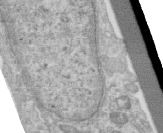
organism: Human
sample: Centriole in RPE cells